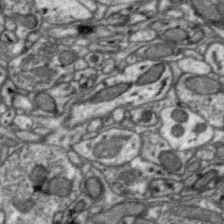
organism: Zebra finch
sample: Brain